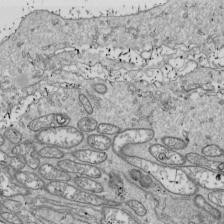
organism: Drosophila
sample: Cell division; meiosis; drosophila spermatocytes